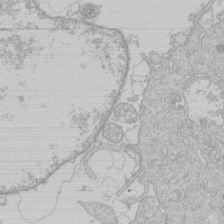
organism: Human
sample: Macrophage cells